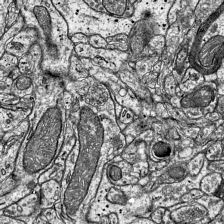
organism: Mouse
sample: Visual Cortex